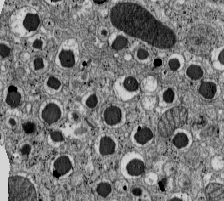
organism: C57BL Mouse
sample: Pancreatic islet